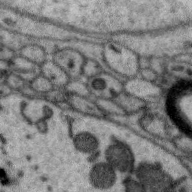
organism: Zebra finch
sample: Brain